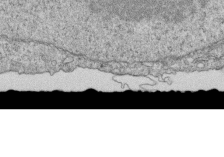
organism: Human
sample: HeLa cell HIV synapse